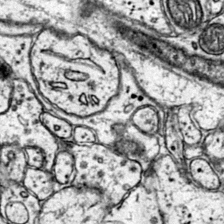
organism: Mouse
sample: Primary visual cortex